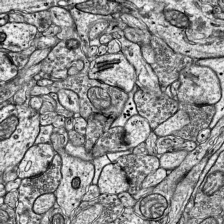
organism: Mouse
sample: Visual Cortex